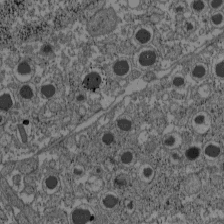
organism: C57BL Mouse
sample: Pancreatic islet